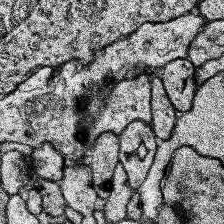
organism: Human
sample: Temporal Lobe